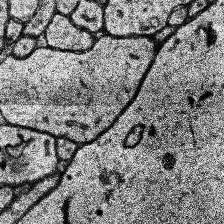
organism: Human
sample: Temporal Lobe